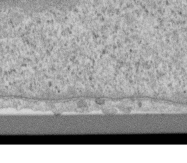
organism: Human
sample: Centriole in RPE cells